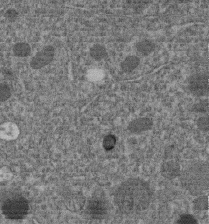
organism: C. elegans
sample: C. elegans embryo early stage